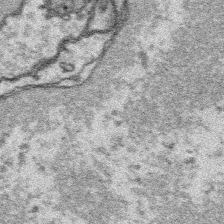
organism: Platynereis dumerilii